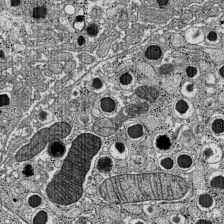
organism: C57BL Mouse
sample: Pancreatic islet